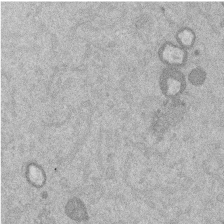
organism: Mouse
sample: Dividing mouse embryo 1 cell stage